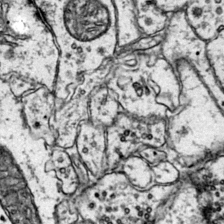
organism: Mouse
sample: Primary visual cortex